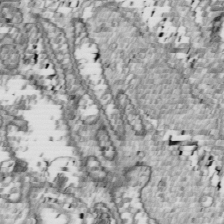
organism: Drosophila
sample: Cell division; meiosis; drosophila spermatocytes